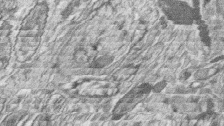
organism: Zebrafish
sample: synaptic ribbons in rod cells and cone cells